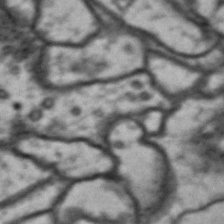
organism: Drosophila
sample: Brain